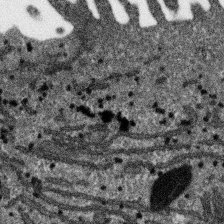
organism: Human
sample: Lung epithelial cells infected with SARS-CoV-2